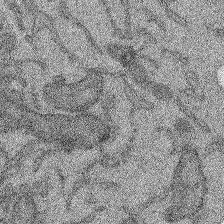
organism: Human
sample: HeLa cells